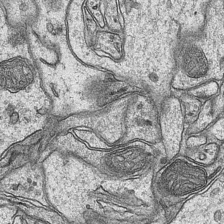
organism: Mouse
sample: CA1 Hippocampus